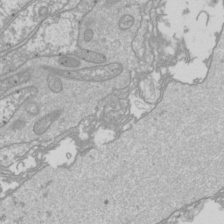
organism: Drosophila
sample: Cell division; meiosis; drosophila spermatocytes